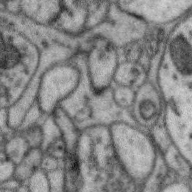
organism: Zebra finch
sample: Brain